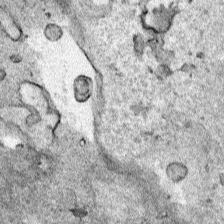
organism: Human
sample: Mitochondria in HCT116 cells